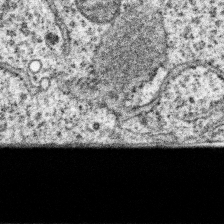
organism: Human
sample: HeLa cells